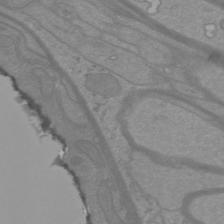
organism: Mouse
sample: Cortical neurons